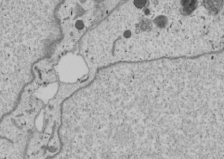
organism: Human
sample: Mitochondria in U2OS cells